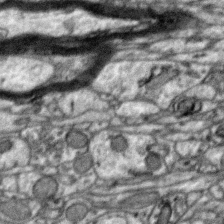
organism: Zebra finch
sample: Brain